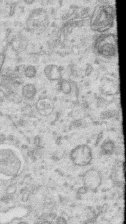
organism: Human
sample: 1205lu cells